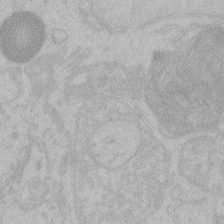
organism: Zebrafish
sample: Macrophage infected with Toxoplasma gondii